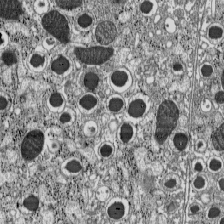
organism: C57BL Mouse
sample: Pancreatic islet